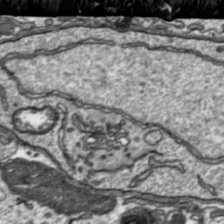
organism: Toxoplasma gondii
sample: Parasites in a vacuole inside a host cell